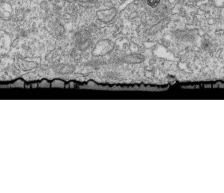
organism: Human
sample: HeLa cell HIV synapse